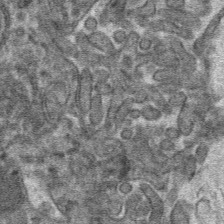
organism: Mouse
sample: Mouse hepatocytes